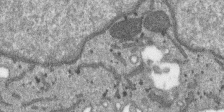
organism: Human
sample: Lung epithelial cells infected with SARS-CoV-2